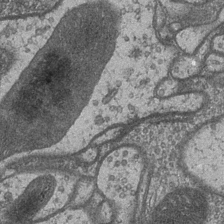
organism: Drosophila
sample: Optic medulla